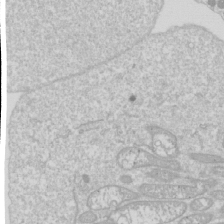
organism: Drosophila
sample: Cell division; meiosis; drosophila spermatocytes